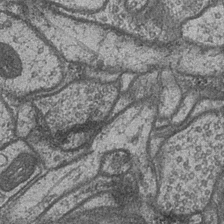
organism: Drosophila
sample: Optic medulla